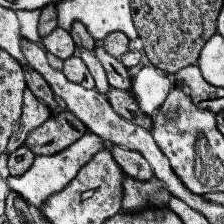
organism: Human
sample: Temporal Lobe